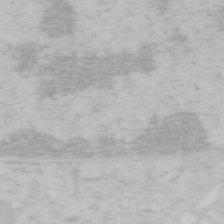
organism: Mouse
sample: OT-I killer T cells with ID8 ovarian cancer cells